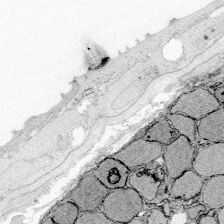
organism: Zebrafish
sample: Whole-Brain